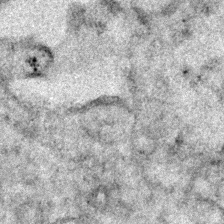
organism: Human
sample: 1205lu cells